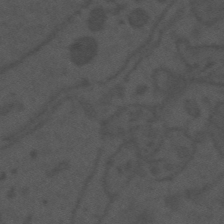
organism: Mouse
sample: Suprachiasmatic nucleus